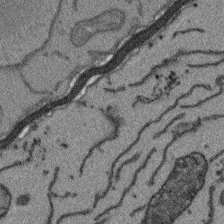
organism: Arabidopsis thaliana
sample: Root tip